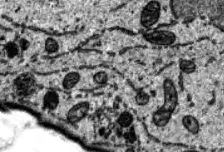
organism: Human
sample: HeLa cells